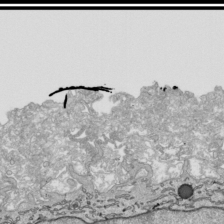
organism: Human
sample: Mitochondria in HCT116 cells